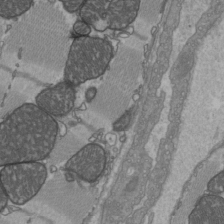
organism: C57BL Mouse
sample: Heart